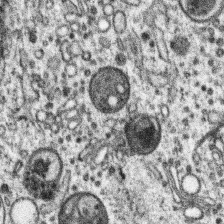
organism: Human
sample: HeLa cells